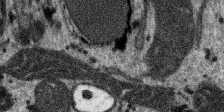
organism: Human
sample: Lung epithelial cells infected with SARS-CoV-2